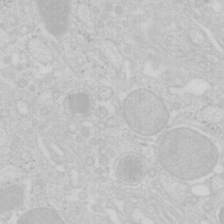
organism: Mouse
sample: Pancreas